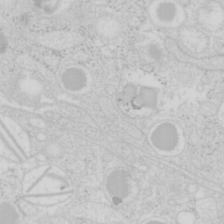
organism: Mouse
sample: Pancreas